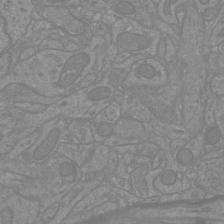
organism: Mouse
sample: Cortical neurons